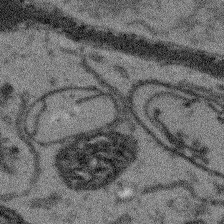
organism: Arabidopsis thaliana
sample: Root tip